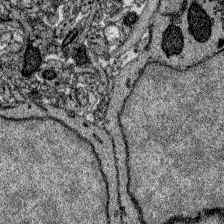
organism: Zebrafish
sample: Larval olfactory bulb